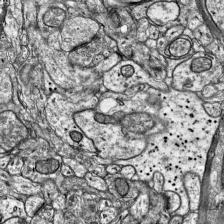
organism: Mouse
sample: Visual Cortex